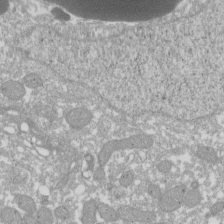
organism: Xenopus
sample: Cilia; centrioles in frog embryo cells